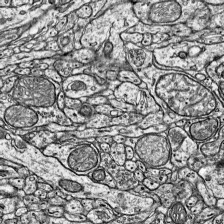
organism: Mouse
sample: Visual Cortex